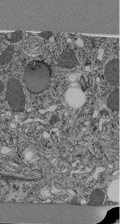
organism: C. elegans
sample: C. elegans pharynx